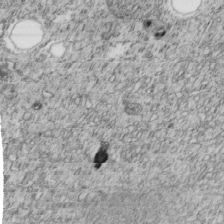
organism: C. elegans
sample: C. elegans embryo early stage